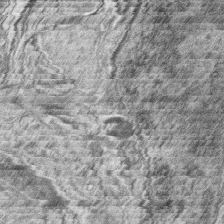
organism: Zebrafish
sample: synaptic ribbons in rod cells and cone cells